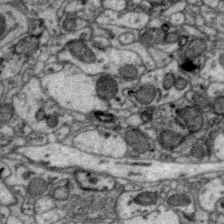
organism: Zebra finch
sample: Brain